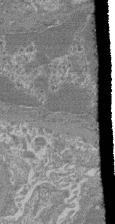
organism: Mouse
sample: Glomerulus